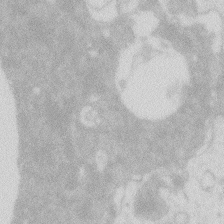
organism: Zebrafish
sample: Macrophage